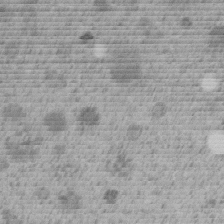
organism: C. elegans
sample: C. elegans embryo early stage